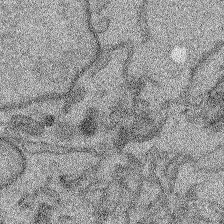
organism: Human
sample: HeLa cells